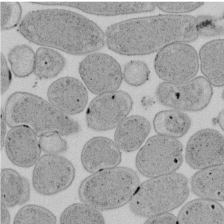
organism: E. coli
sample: Bacterial nucleoid